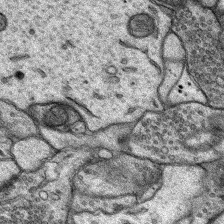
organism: Rat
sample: Hippocampus